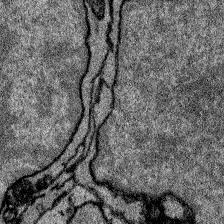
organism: Zebrafish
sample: Larval olfactory bulb